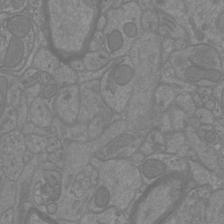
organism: Mouse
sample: Cortical neurons